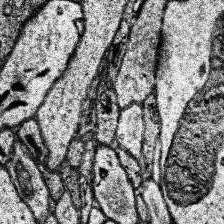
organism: Human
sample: Temporal Lobe